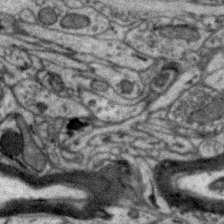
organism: Zebra finch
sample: Brain